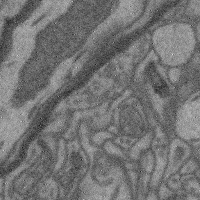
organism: Mouse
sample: Cerebral cortex